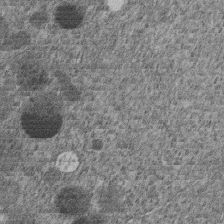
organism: C. elegans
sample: C. elegans embryo early stage